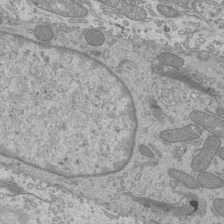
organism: Mouse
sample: Cilia; mouse epididymis